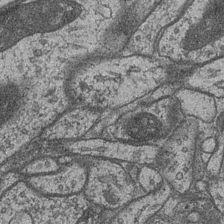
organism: Drosophila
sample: Optic medulla